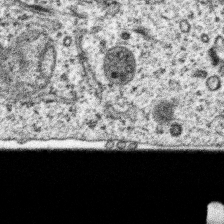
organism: Human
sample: HeLa cells